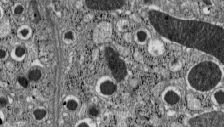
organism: C57BL Mouse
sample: Pancreatic islet